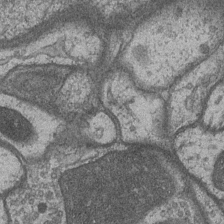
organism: Drosophila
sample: Optic medulla